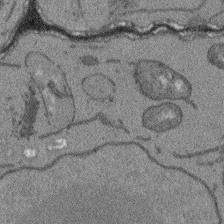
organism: Arabidopsis thaliana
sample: Root tip